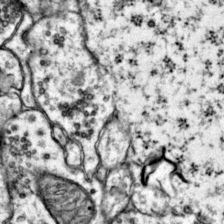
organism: Mouse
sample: Primary visual cortex